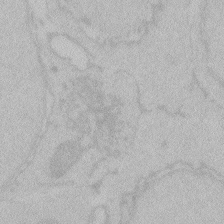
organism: Zebrafish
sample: Macrophage infected with Toxoplasma gondii